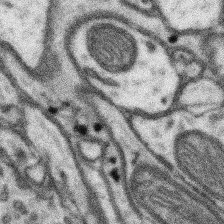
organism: Mouse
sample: Somatosensory cortex neuropil